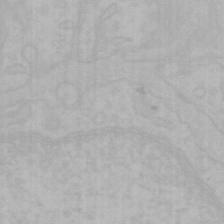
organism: Mouse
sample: Choroid plexus